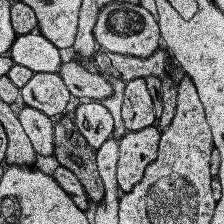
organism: Human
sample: Temporal Lobe